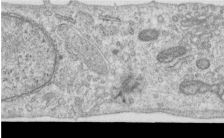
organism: Human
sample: Centriole in RPE cells